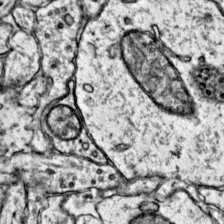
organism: Mouse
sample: Primary visual cortex